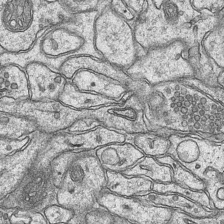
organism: Mouse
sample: CA1 Hippocampus